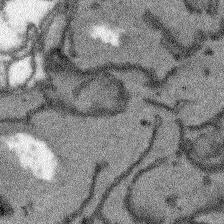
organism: Arabidopsis thaliana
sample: Root tip